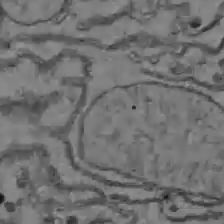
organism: C57BL Mouse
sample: Liver